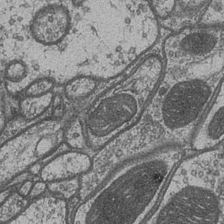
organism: Drosophila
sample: Optic medulla